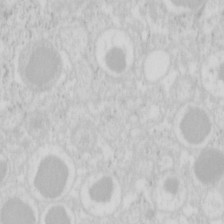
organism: Mouse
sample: Pancreas